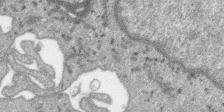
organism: Human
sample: Lung epithelial cells infected with SARS-CoV-2